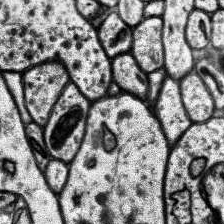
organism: Human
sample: Temporal Lobe